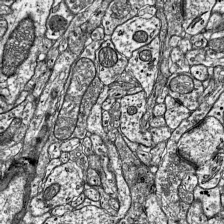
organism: Mouse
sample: Visual Cortex